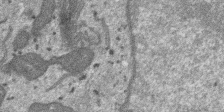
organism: Human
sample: Lung epithelial cells infected with SARS-CoV-2